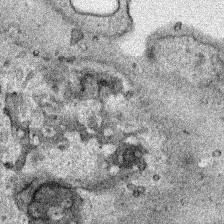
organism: Human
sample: Mitochondria in HCT116 cells